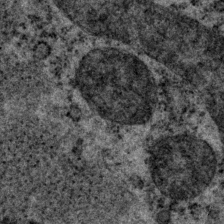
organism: P. pacificus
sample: Pharynx